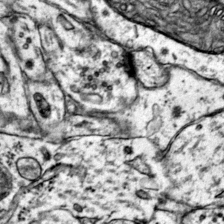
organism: Mouse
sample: Primary visual cortex